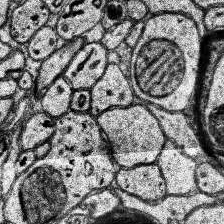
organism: Human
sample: Temporal Lobe